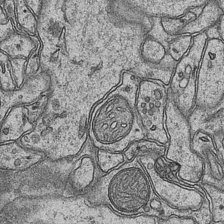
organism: Mouse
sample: CA1 Hippocampus